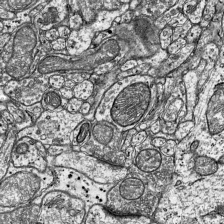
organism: Mouse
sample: Visual Cortex